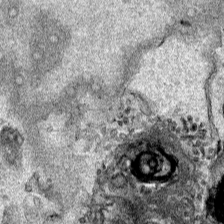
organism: Human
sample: Mitochondria in HCT116 cells